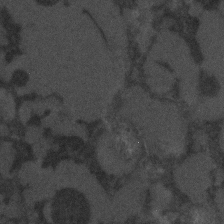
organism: C. elegans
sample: C. elegans embryo